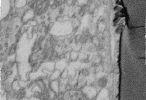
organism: Human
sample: Centriole in fibroblast cells